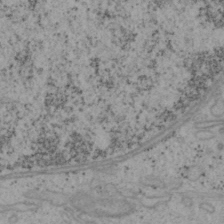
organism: Human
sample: HeLa cells